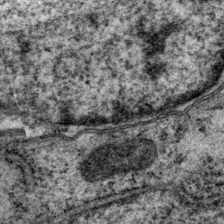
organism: P. pacificus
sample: Pharynx